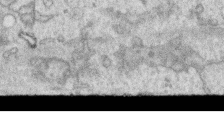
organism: Human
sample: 1205lu cells